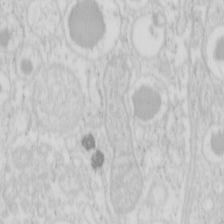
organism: Mouse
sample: Pancreas